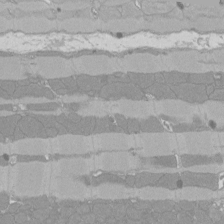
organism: Rat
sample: Left ventricle